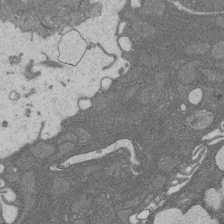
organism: Rat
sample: Salivary granule